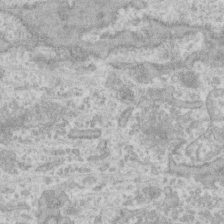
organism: Human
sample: CRL-1474